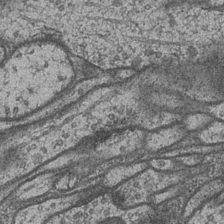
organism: Drosophila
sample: Optic medulla